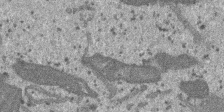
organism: Human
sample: Lung epithelial cells infected with SARS-CoV-2